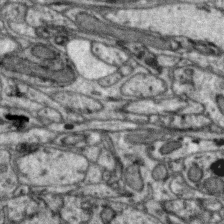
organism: Zebra finch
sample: Brain